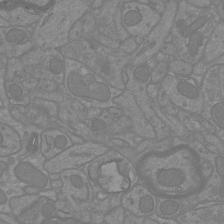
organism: Mouse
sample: Cortical neurons